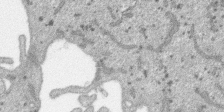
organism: Human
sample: Lung epithelial cells infected with SARS-CoV-2